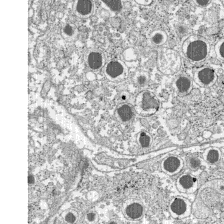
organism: C57BL Mouse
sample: Pancreatic islet